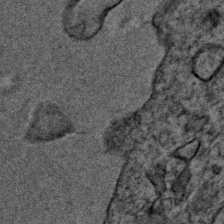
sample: Trachea